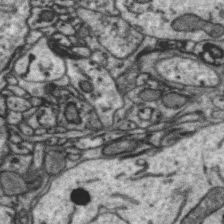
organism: Zebra finch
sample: Brain